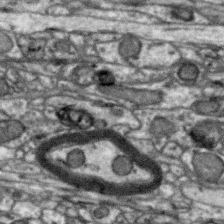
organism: Zebra finch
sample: Brain